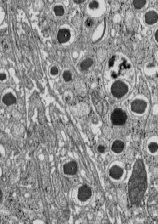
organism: C57BL Mouse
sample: Pancreatic islet